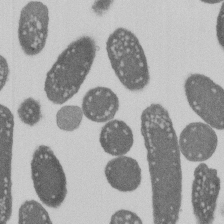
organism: E. coli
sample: Bacterial nucleoid